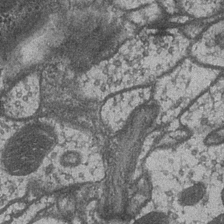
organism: Drosophila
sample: Optic medulla